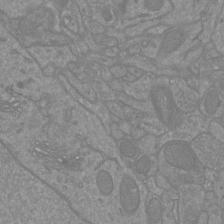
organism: Mouse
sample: Cortical neurons